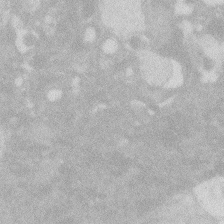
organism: Zebrafish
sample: Macrophage